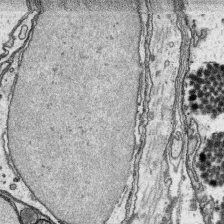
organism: Platynereis dumerilii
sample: Parapodia